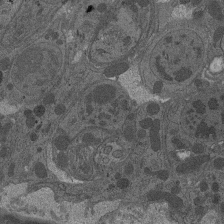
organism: Drosophila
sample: Antenna